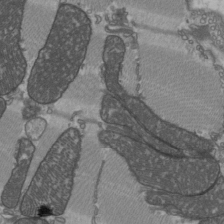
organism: C57BL Mouse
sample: Heart